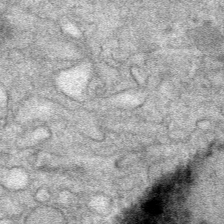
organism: Mouse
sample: Mouse Salivary gland